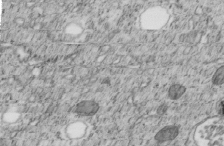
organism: C. elegans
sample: C. elegans embryo early stage